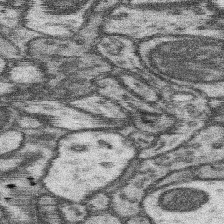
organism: Mouse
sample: Somatosensory cortex neuropil